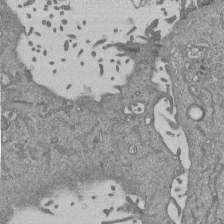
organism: Mouse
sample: ED-1 cell nuclei; centrioles